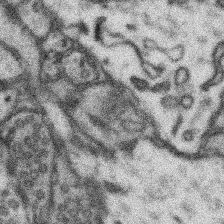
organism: Mouse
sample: Somatosensory cortex neuropil